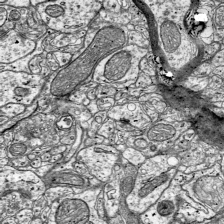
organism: Mouse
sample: Visual Cortex